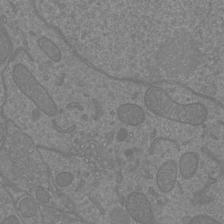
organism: Mouse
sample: Cortical neurons